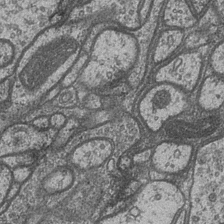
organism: Drosophila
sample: Optic medulla